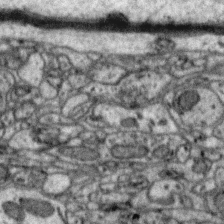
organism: Zebra finch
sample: Brain